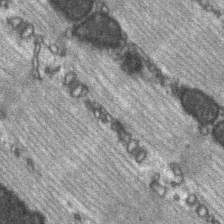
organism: C57BL Mouse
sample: Soleus